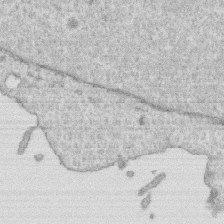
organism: Human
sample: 1205lu cells